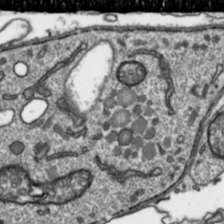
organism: Toxoplasma gondii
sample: Parasites in a vacuole inside a host cell